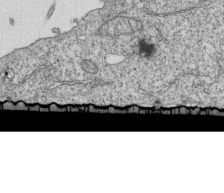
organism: Human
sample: HeLa cell HIV synapse